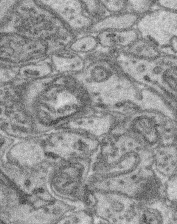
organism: Mouse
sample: Retina